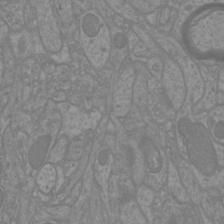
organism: Mouse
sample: Cortical neurons